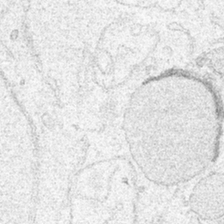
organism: Human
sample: Mitochondria in HCT116 cells